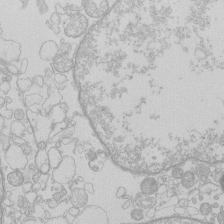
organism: Human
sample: Macrophage cells